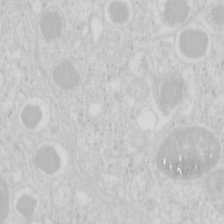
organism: Mouse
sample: Pancreas